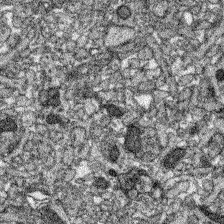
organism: Zebrafish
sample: Larval olfactory bulb